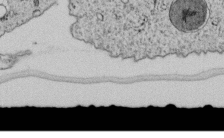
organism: C. elegans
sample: C. elegans embryo early stage